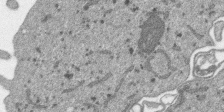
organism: Human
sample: Lung epithelial cells infected with SARS-CoV-2